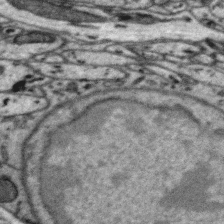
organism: Zebra finch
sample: Brain